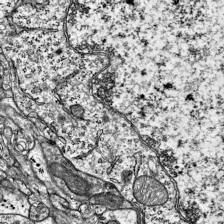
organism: Mouse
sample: Visual Cortex